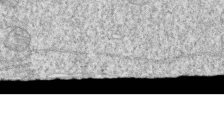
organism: Human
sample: HeLa cell HIV synapse